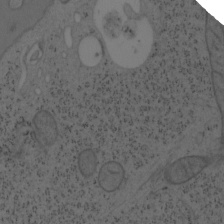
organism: Mouse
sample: OT-I killer T cells with ID8 ovarian cancer cells